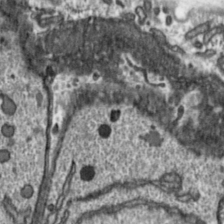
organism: Toxoplasma gondii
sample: Parasites in a vacuole inside a host cell